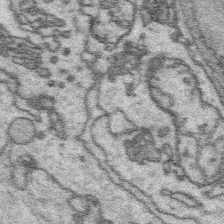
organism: Platynereis dumerilii